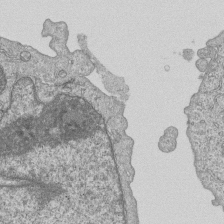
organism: Human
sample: MDA-MB-231 cells